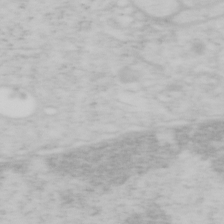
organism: Mouse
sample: OT-I killer T cells with ID8 ovarian cancer cells